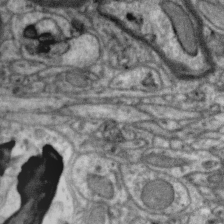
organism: Zebra finch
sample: Brain